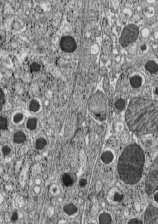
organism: C57BL Mouse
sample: Pancreatic islet